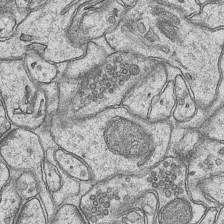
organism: Mouse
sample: CA1 Hippocampus